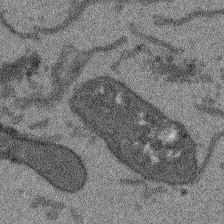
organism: Arabidopsis thaliana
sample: Root tip